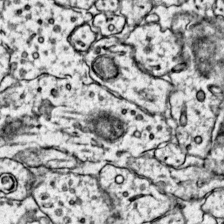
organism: Mouse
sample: Primary visual cortex